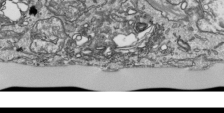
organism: Human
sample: Mitochondria in HCT116 cells